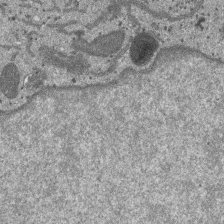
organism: Human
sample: Lung epithelial cells infected with SARS-CoV-2